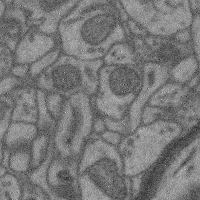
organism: Mouse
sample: Cerebral cortex